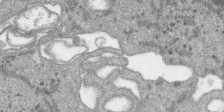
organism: Human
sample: Lung epithelial cells infected with SARS-CoV-2